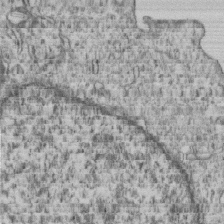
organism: Human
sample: MDA-MB-231 cells